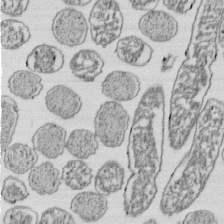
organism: E. coli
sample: Bacterial nucleoid